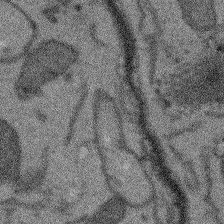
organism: Arabidopsis thaliana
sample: Root tip